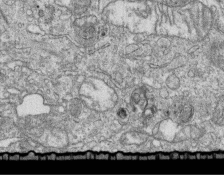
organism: Human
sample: HeLa cell HIV synapse